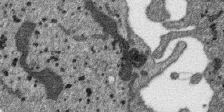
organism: Human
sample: Lung epithelial cells infected with SARS-CoV-2